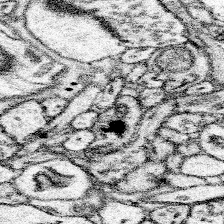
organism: Mouse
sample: Somatosensory cortex neuropil